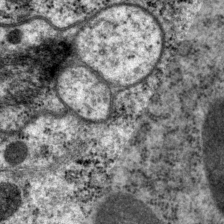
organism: P. pacificus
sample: Pharynx